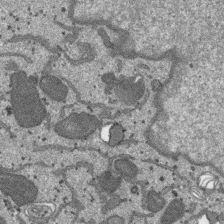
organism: Human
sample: Lung epithelial cells infected with SARS-CoV-2